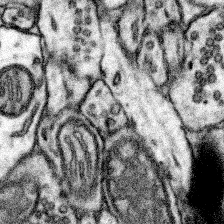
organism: Mouse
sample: Somatosensory cortex neuropil